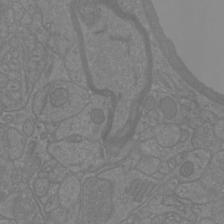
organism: Mouse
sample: Cortical neurons